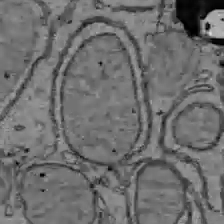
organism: C57BL Mouse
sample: Liver